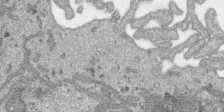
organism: Human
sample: Lung epithelial cells infected with SARS-CoV-2